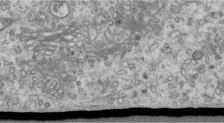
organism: Human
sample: Centriole in RPE cells